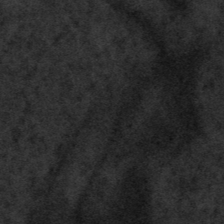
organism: Tuwongella immobilis